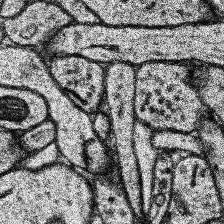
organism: Human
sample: Temporal Lobe